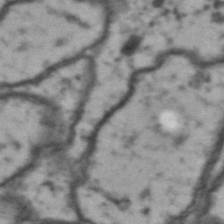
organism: Drosophila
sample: Brain